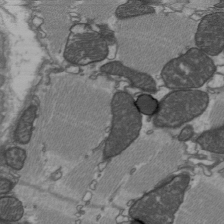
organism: C57BL Mouse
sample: Heart